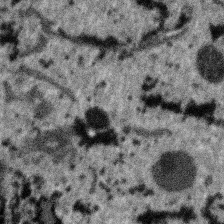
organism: Human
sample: Lung epithelial cells infected with SARS-CoV-2